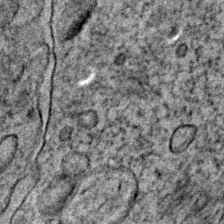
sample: Trachea